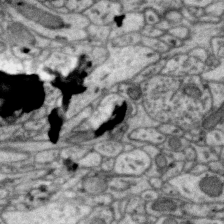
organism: Zebra finch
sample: Brain